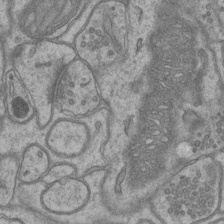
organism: Mouse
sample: CA1 Hippocampus